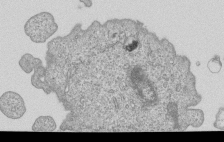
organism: Human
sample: MDA-MB-231 cells